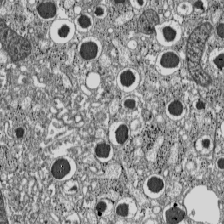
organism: C57BL Mouse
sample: Pancreatic islet